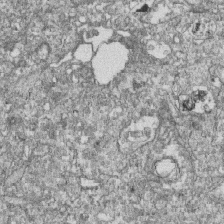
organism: Human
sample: HeLa cell HIV synapse